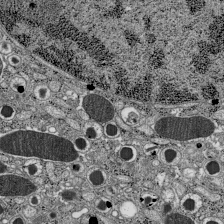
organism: C57BL Mouse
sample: Pancreatic islet